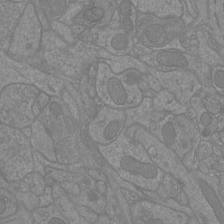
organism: Mouse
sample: Cortical neurons